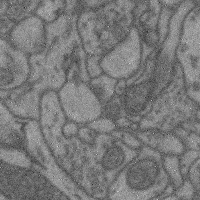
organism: Mouse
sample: Cerebral cortex